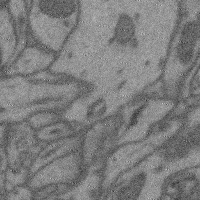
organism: Mouse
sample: Cerebral cortex